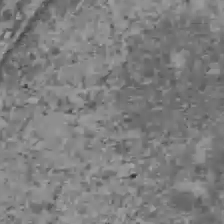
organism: C57BL Mouse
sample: Liver